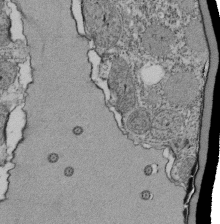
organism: Tetrahymena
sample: Cilia in tetrahymena